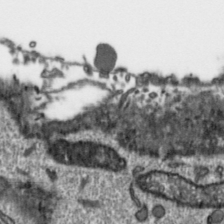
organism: Toxoplasma gondii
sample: Parasites in a vacuole inside a host cell